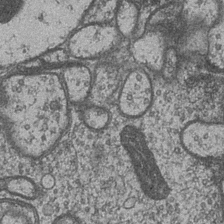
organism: Drosophila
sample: Optic medulla